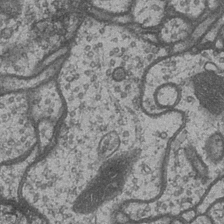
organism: Drosophila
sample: Optic medulla